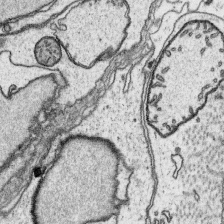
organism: Platynereis dumerilii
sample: Parapodia